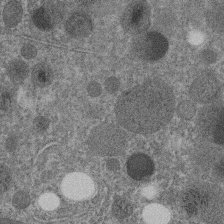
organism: C. elegans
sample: C. elegans embryo early stage